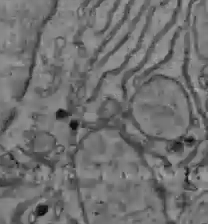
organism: C57BL Mouse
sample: Liver